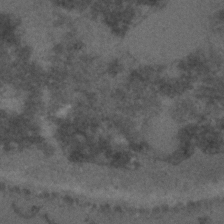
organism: C. elegans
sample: C. elegans embryo